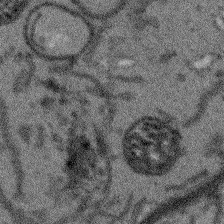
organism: Arabidopsis thaliana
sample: Root tip